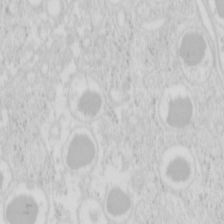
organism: Mouse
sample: Pancreas